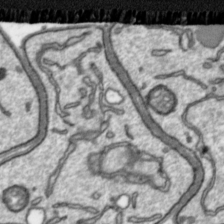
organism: Toxoplasma gondii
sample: Parasites in a vacuole inside a host cell